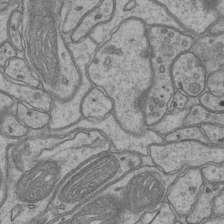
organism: Mouse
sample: CA1 Hippocampus